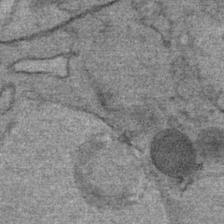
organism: Mouse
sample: Mouse Salivary gland